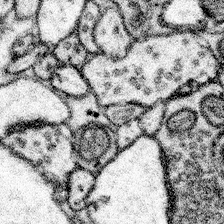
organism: Mouse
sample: Somatosensory cortex neuropil